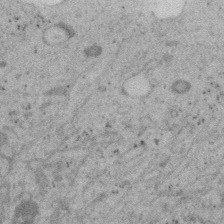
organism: Human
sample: HeLa cells